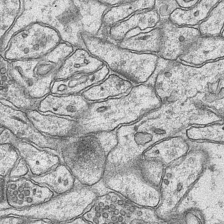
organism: Mouse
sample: CA1 Hippocampus